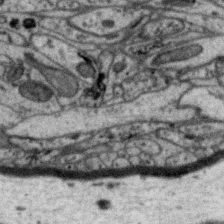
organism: Zebra finch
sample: Brain